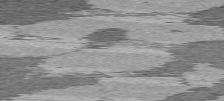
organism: C57BL Mouse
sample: Heart